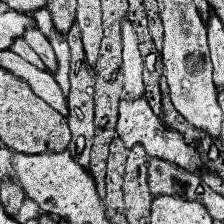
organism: Human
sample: Temporal Lobe